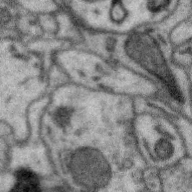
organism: Zebra finch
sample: Brain